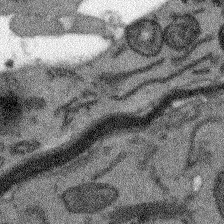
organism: Arabidopsis thaliana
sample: Root tip